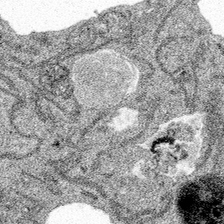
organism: Spongilla lacustris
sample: Multiple